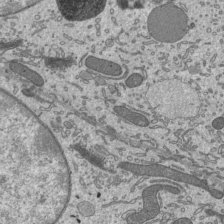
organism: Mouse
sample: Mouse epididymis efferent ductule cilia